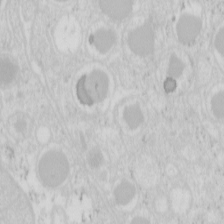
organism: Mouse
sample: Pancreas